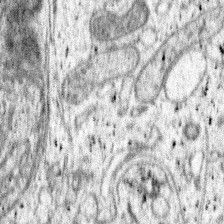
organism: Human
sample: HeLa cells